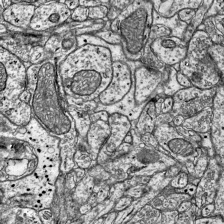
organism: Mouse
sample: Visual Cortex